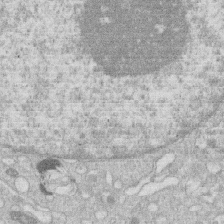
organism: Human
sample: Macrophage cells